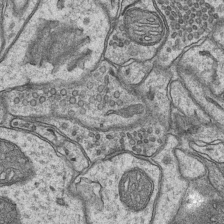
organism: Mouse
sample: CA1 Hippocampus